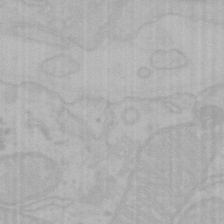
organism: Mouse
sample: Choroid plexus